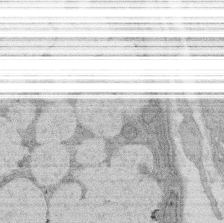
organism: Rat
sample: Salivary granule